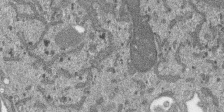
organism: Human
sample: Lung epithelial cells infected with SARS-CoV-2